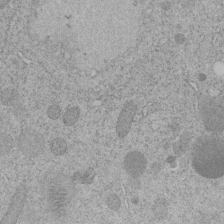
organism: C. elegans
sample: C. elegans embryo early stage